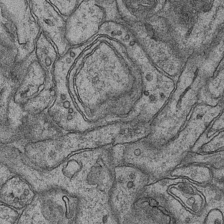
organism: Mouse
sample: CA1 Hippocampus